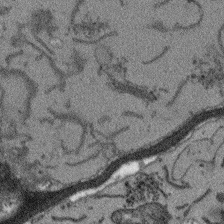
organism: Arabidopsis thaliana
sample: Root tip